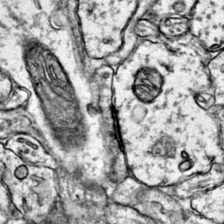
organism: Mouse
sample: Primary visual cortex